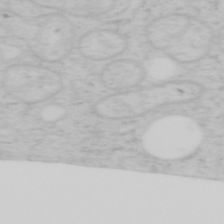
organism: Mouse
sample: OT-I killer T cells with ID8 ovarian cancer cells